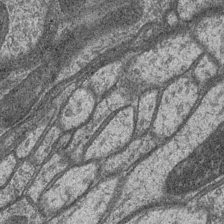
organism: Drosophila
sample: Optic medulla